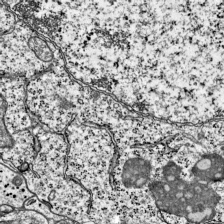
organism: Mouse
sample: Visual Cortex